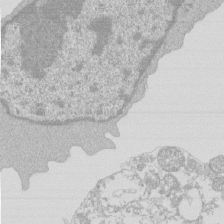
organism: Mouse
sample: Activated Pmel transgenic CD8+ T Cells